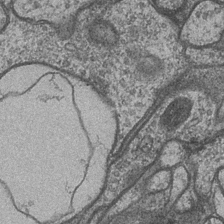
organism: Drosophila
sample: Optic medulla